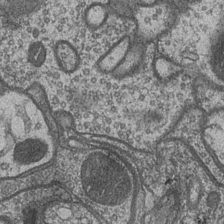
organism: Drosophila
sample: Optic medulla